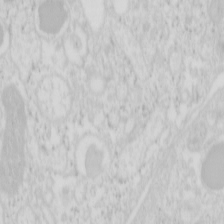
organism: Mouse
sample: Pancreas